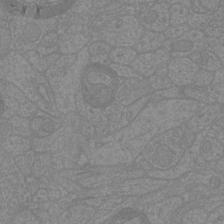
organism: Mouse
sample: Cortical neurons